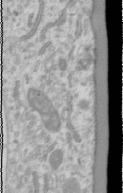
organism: Human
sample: Cilia; basal body in RPE cells